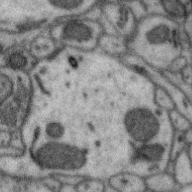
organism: Zebra finch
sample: Brain